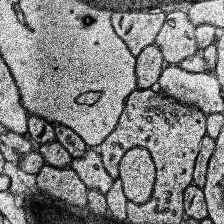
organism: Human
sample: Temporal Lobe